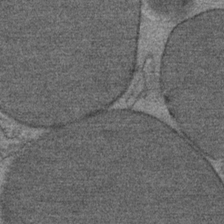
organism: Mouse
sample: Mouse Salivary gland